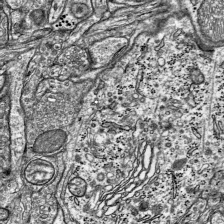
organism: Mouse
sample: Visual Cortex